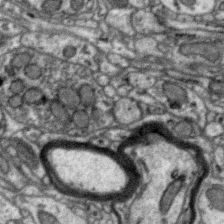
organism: Zebra finch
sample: Brain